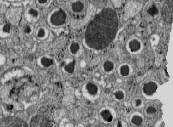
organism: C57BL Mouse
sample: Pancreatic islet